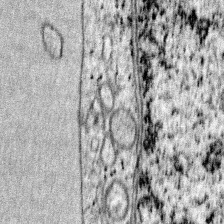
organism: Human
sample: HeLa cells